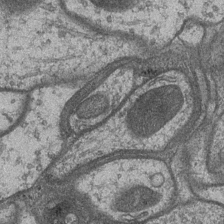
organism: Drosophila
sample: Optic medulla